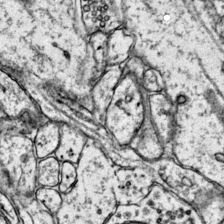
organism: Mouse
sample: Primary visual cortex